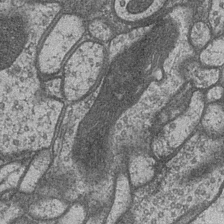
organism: Drosophila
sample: Optic medulla